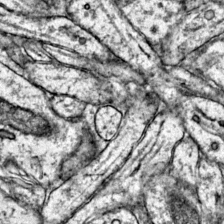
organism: Mouse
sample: Primary visual cortex